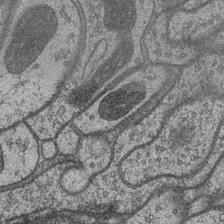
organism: Drosophila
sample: Optic medulla